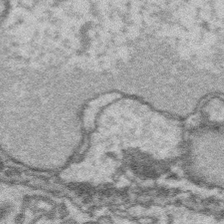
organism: Platynereis dumerilii